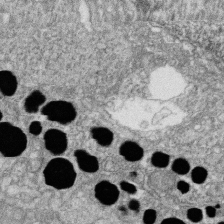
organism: Zebrafish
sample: Cilia; retinal pigment epithelium